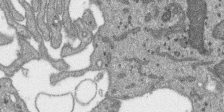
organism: Human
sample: Lung epithelial cells infected with SARS-CoV-2